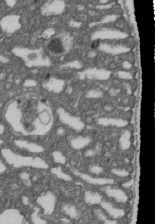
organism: Drosophila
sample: Nephrocyte